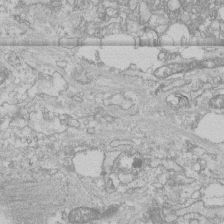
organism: Human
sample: CRL-1474